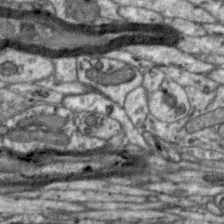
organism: Zebra finch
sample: Brain